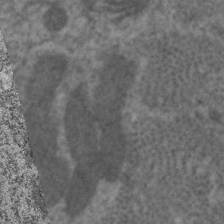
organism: C. elegans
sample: Pharynx